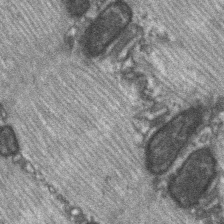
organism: C57BL Mouse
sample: Soleus